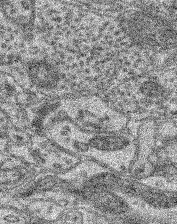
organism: Mouse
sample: Retina